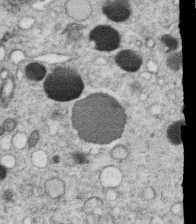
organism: C. elegans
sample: C. elegans oocyte; sperm cells